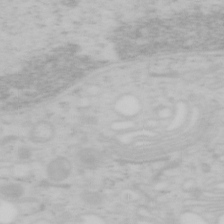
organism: Mouse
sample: OT-I killer T cells with ID8 ovarian cancer cells